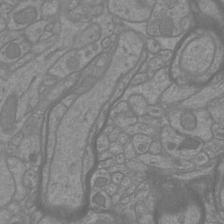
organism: Mouse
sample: Cortical neurons